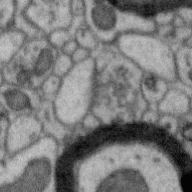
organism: Zebra finch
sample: Brain